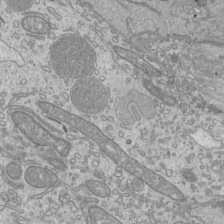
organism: Mouse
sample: Cilia; mouse epididymis